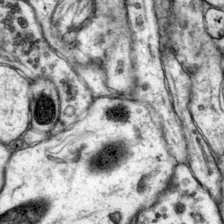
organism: Mouse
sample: Primary visual cortex